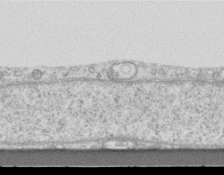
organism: Mouse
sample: Centriole in ependymal cells